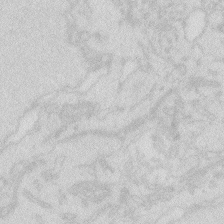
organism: Zebrafish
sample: Macrophage